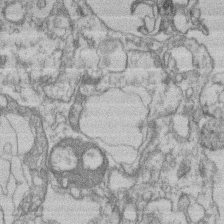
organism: Mouse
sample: T cell stromal cell synapse